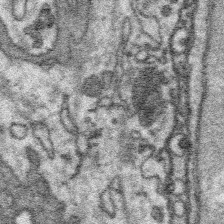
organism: Platynereis dumerilii